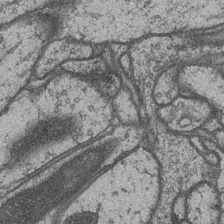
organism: Drosophila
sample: Optic medulla